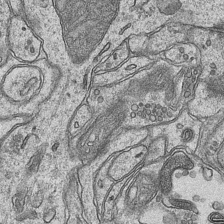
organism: Mouse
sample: CA1 Hippocampus